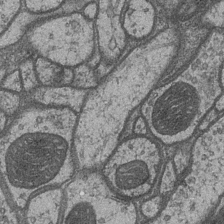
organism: Drosophila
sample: Optic medulla